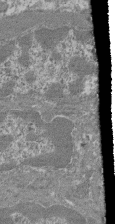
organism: Mouse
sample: Glomerulus